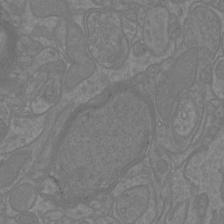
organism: Mouse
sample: Cortical neurons